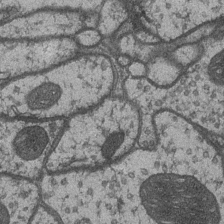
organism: Drosophila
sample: Optic medulla